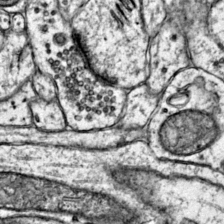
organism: Mouse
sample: Primary visual cortex